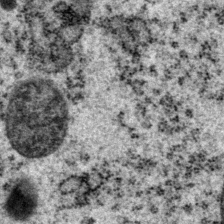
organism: P. pacificus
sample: Pharynx